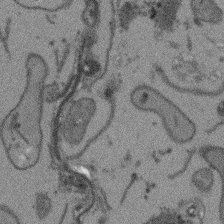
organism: Arabidopsis thaliana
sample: Root tip